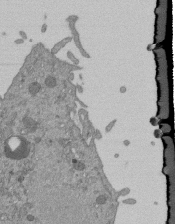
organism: Mouse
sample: ED-1 cell nuclei; centrioles